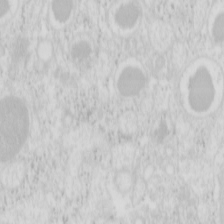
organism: Mouse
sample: Pancreas